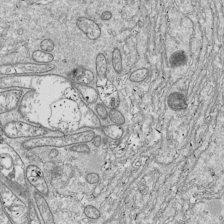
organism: Drosophila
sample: Cell division; meiosis; drosophila spermatocytes